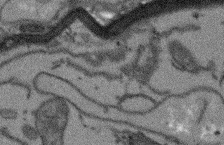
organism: Arabidopsis thaliana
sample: Root tip